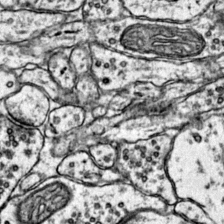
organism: Mouse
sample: Primary visual cortex